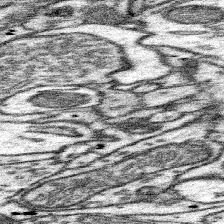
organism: Mouse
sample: Somatosensory cortex neuropil